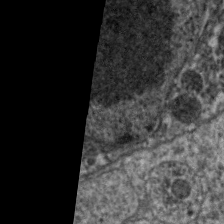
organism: C. elegans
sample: Pharynx